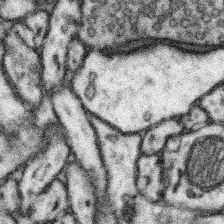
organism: Mouse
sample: Somatosensory cortex neuropil